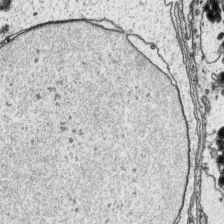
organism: Platynereis dumerilii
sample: Parapodia